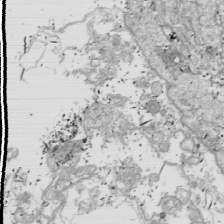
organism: Drosophila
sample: Cell division; meiosis; drosophila spermatocytes